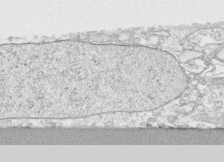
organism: Human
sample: CRL-1474